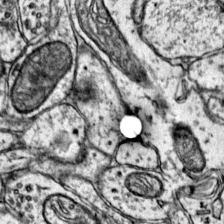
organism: Mouse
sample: Primary visual cortex